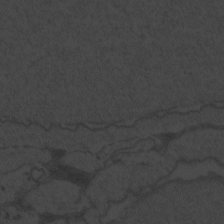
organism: Zebrafish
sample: Macrophage infected with Toxoplasma gondii